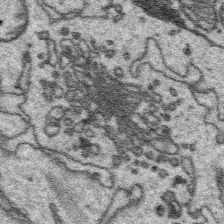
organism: Platynereis dumerilii